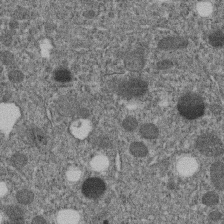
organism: C. elegans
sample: C. elegans embryo early stage